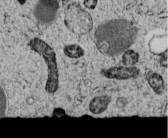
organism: C. elegans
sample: C. elegans embryo early stage